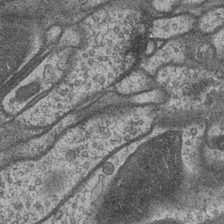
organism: Drosophila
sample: Optic medulla